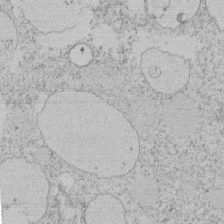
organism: Tetrahymena